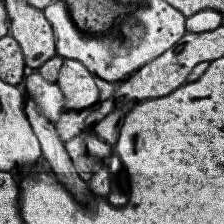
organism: Human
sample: Temporal Lobe